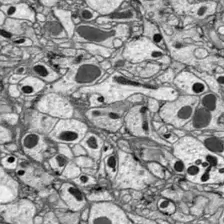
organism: Drosophila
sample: Optic lobe